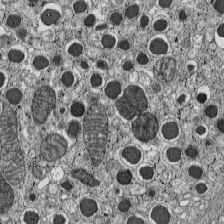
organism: C57BL Mouse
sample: Pancreatic islet